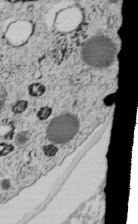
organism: C. elegans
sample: C. elegans embryo early stage